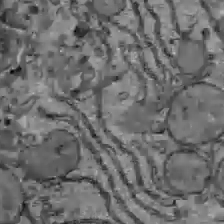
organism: C57BL Mouse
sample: Liver